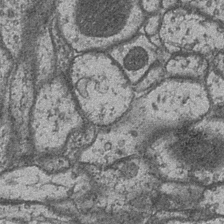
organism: Drosophila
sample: Optic medulla